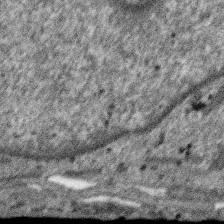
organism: Human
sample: Lung epithelial cells infected with SARS-CoV-2